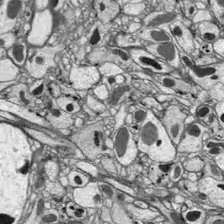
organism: Drosophila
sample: Optic lobe